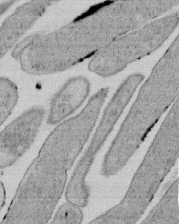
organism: E. coli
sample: Bacterial nucleoid